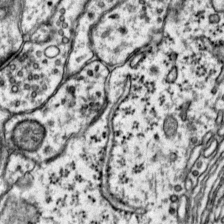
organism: Mouse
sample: Primary visual cortex